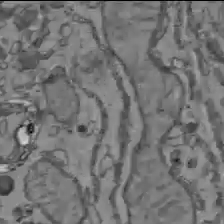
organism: C57BL Mouse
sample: Liver